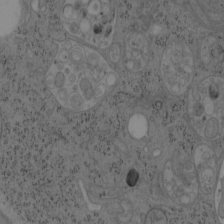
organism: Mouse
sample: OT-I killer T cells with ID8 ovarian cancer cells